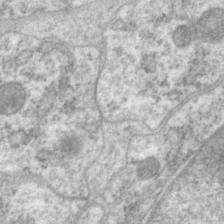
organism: P. pacificus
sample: Pharynx